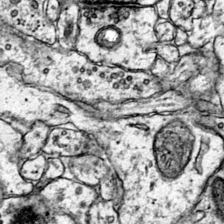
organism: Mouse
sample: Primary visual cortex